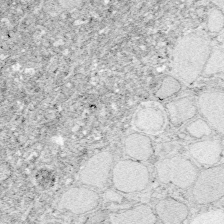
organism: Zebrafish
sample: Whole-Brain